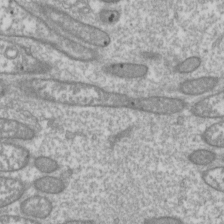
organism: Drosophila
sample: Cell division; meiosis; drosophila spermatocytes